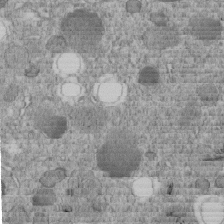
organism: C. elegans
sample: C. elegans embryo early stage